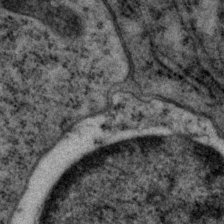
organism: P. pacificus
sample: Pharynx